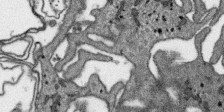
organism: Human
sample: Lung epithelial cells, uninfected (mock) control